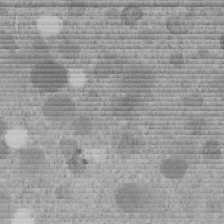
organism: C. elegans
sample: C. elegans embryo early stage